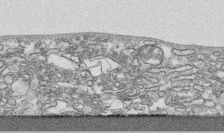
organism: Human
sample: CRL-1474